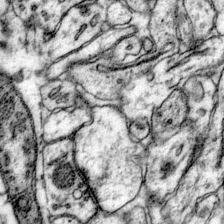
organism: Mouse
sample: Primary visual cortex